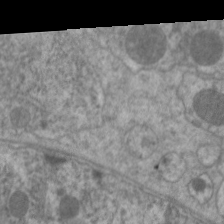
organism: C. elegans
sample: Pharynx